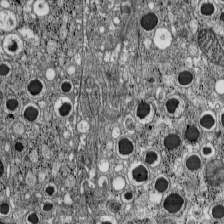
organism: C57BL Mouse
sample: Pancreatic islet